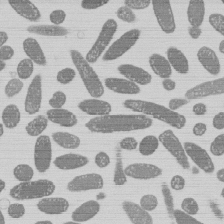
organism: E. coli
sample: Bacterial nucleoid